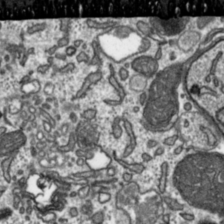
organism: Toxoplasma gondii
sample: Parasites in a vacuole inside a host cell